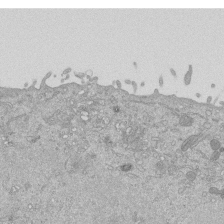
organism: Mouse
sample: ED-1 cell nuclei; centrioles